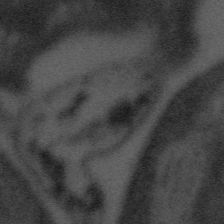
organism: Tuwongella immobilis